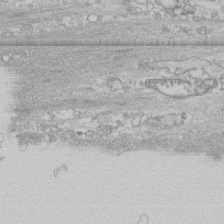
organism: Human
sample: CRL-1474